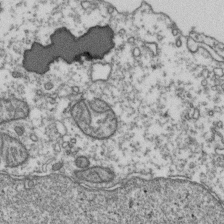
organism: Human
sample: Activated Jurkat CD4+ T cells